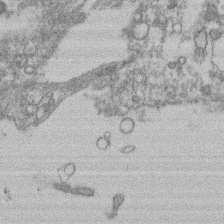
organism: Mouse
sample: T cell stromal cell synapse